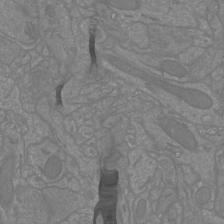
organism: Mouse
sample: Cortical neurons